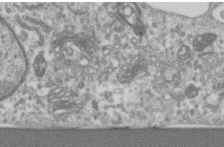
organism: Human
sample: Centriole in RPE cells